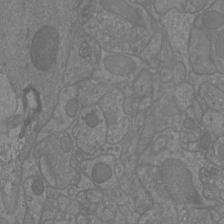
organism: Mouse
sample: Cortical neurons